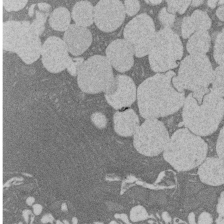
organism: Rat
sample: Salivary granule